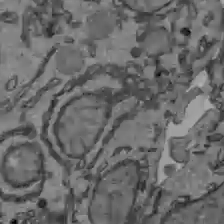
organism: C57BL Mouse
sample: Liver